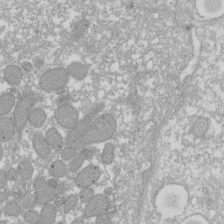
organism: Xenopus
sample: Cilia; centrioles in frog embryo cells